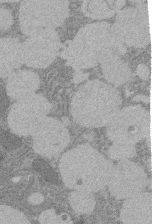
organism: Rat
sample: Salivary granule